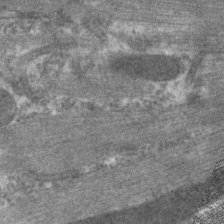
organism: C. elegans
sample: Pharynx